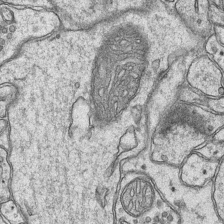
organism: Mouse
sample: CA1 Hippocampus